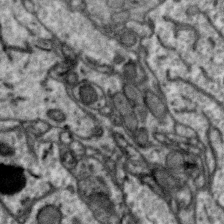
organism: Zebra finch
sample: Brain